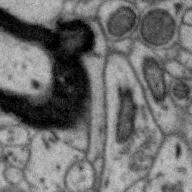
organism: Zebra finch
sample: Brain